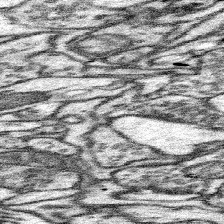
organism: Mouse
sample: Somatosensory cortex neuropil